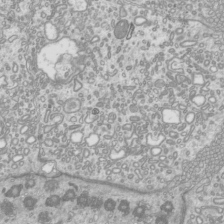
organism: Mouse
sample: Cilia; mouse epididymis